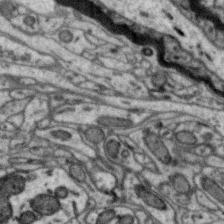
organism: Zebra finch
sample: Brain